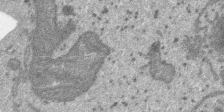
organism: Human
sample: Lung epithelial cells infected with SARS-CoV-2